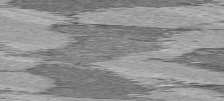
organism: C57BL Mouse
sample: Heart